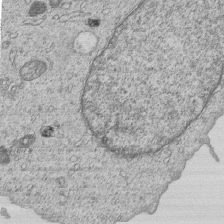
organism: Human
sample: MDA-MB-231 cells